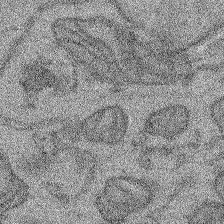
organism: Human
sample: HeLa cells